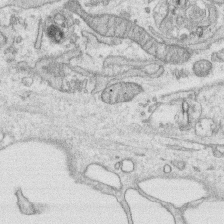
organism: Human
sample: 1205lu cells